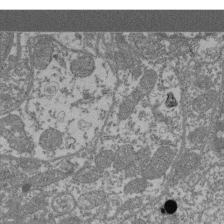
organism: Mouse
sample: Glomerulus